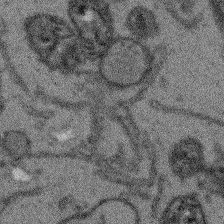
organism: Arabidopsis thaliana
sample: Root tip